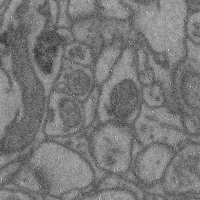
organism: Mouse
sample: Cerebral cortex